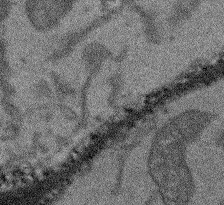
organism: Arabidopsis thaliana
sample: Root tip